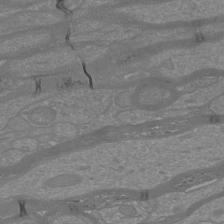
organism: Mouse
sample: Cortical neurons